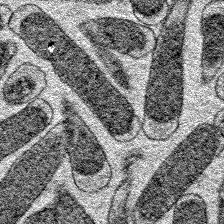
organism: E. coli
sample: E. Coli Bacteria